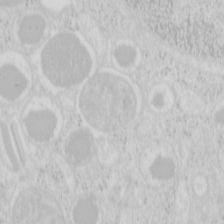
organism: Mouse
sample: Pancreas